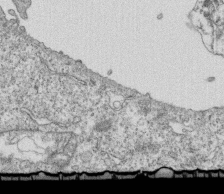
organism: Human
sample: HeLa cell HIV synapse